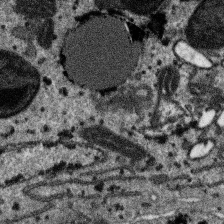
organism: Human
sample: Lung epithelial cells infected with SARS-CoV-2